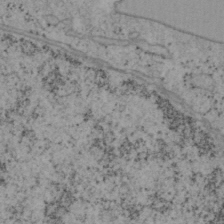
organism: Human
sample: HeLa cells